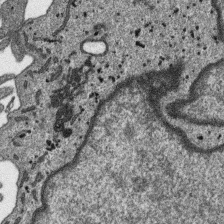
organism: Human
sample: Lung epithelial cells infected with SARS-CoV-2